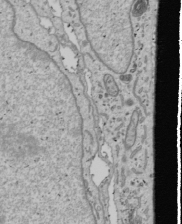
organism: Human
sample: Mitochondria in U2OS cells